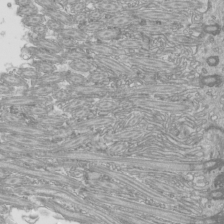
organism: Mouse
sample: Cilia; mouse epididymis